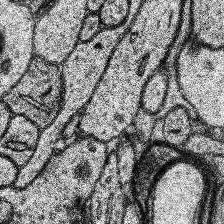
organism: Human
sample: Temporal Lobe